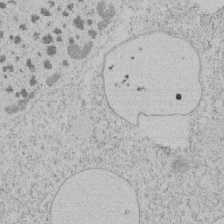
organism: Tetrahymena